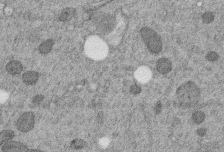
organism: C. elegans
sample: C. elegans embryo early stage